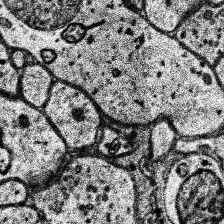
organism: Human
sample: Temporal Lobe